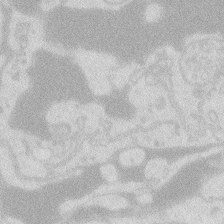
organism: Zebrafish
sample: Macrophage